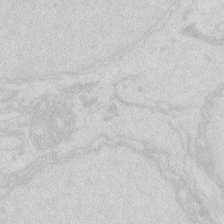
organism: Zebrafish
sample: Macrophage